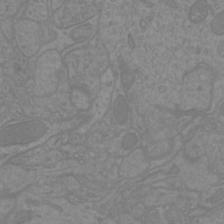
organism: Mouse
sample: Cortical neurons